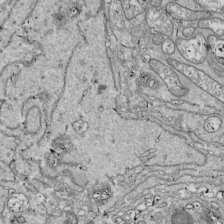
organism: Drosophila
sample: Cell division; meiosis; drosophila spermatocytes